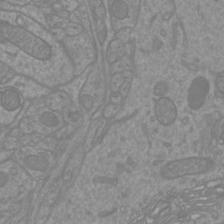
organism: Mouse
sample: Cortical neurons